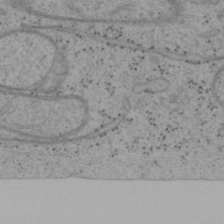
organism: Human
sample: HeLa cells